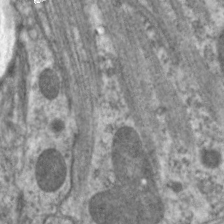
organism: C. elegans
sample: Pharynx